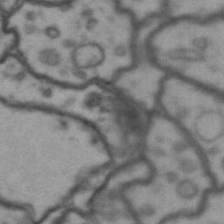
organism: Drosophila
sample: Brain